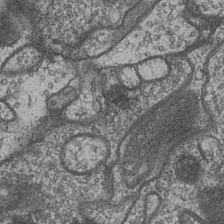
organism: Drosophila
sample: Optic medulla